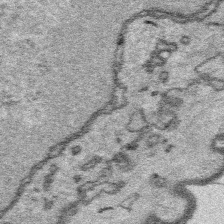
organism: Platynereis dumerilii